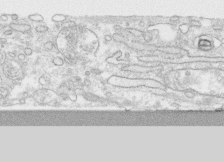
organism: Human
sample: CRL-1474